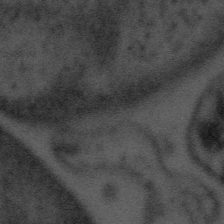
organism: Tuwongella immobilis